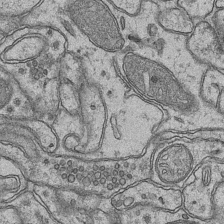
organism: Mouse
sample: CA1 Hippocampus